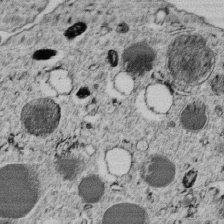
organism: C. elegans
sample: C. elegans embryo early stage